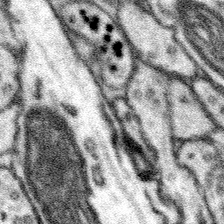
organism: Mouse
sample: Somatosensory cortex neuropil